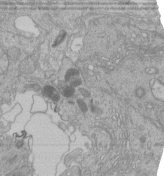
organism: Human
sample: Retinal organoid Rod and Cone cells